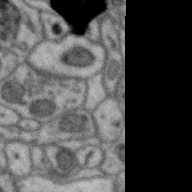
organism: Zebra finch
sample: Brain